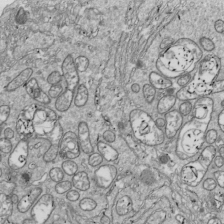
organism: Drosophila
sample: Cell division; meiosis; drosophila spermatocytes